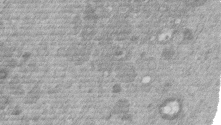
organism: Mouse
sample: Dividing mouse embryo 1 cell stage